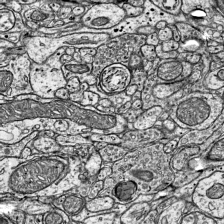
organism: Mouse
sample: Visual Cortex